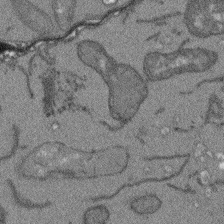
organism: Arabidopsis thaliana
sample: Root tip